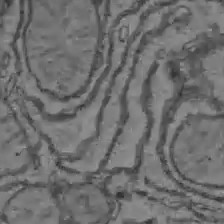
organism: C57BL Mouse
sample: Liver